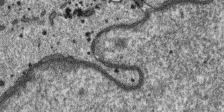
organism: Human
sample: Lung epithelial cells infected with SARS-CoV-2